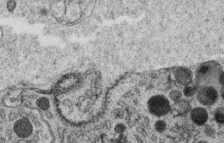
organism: C. elegans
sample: C. elegans oocyte; sperm cells